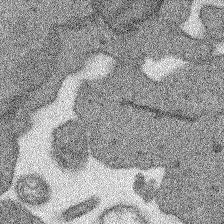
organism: Human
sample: HeLa cells